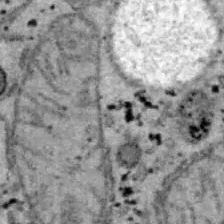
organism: Mouse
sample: Liver from an obese (ob/ob) mouse